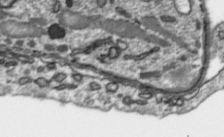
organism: Toxoplasma gondii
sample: Parasites in a vacuole inside a host cell